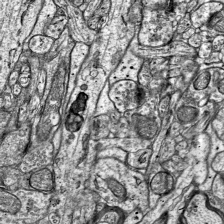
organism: Mouse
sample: Visual Cortex